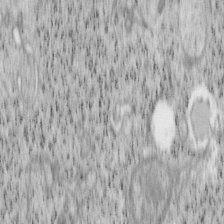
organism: Human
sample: HeLa cells